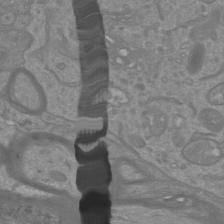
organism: Mouse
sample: Cortical neurons